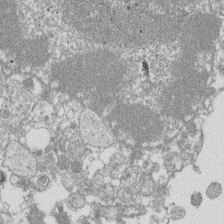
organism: Human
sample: HeLa cell HIV synapse